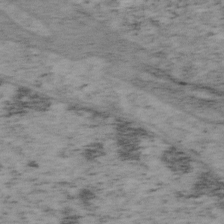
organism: Mouse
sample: OT-I killer T cells with ID8 ovarian cancer cells